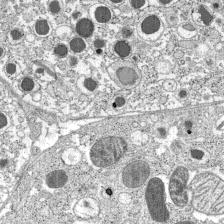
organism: C57BL Mouse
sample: Pancreatic islet